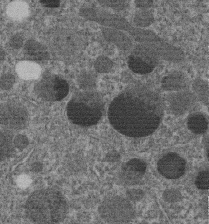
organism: C. elegans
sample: C. elegans embryo early stage